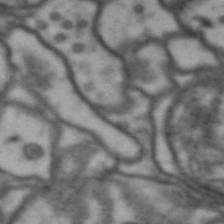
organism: Drosophila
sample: Brain